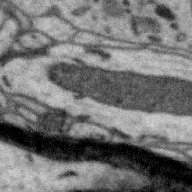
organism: Zebra finch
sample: Brain